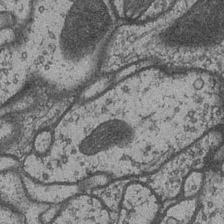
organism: Drosophila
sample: Optic medulla